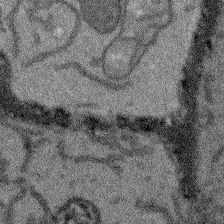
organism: Arabidopsis thaliana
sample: Root tip